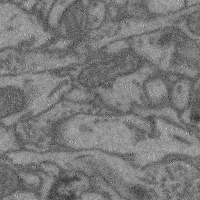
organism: Mouse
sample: Cerebral cortex